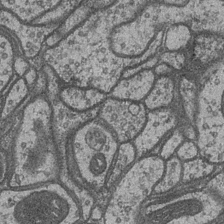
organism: Drosophila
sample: Optic medulla